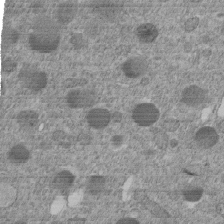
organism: C. elegans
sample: C. elegans embryo early stage